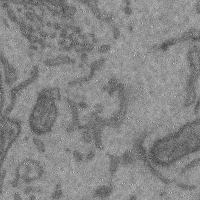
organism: Mouse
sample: Cerebral cortex